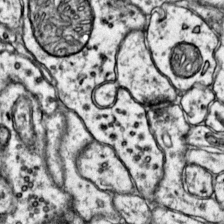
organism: Mouse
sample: Primary visual cortex